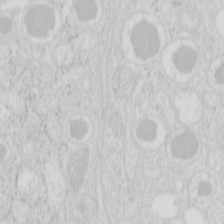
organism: Mouse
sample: Pancreas